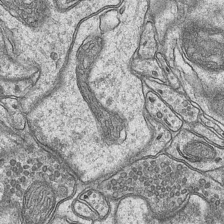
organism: Mouse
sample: CA1 Hippocampus